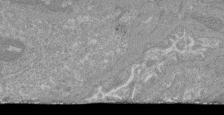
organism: Mouse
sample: Glomerulus